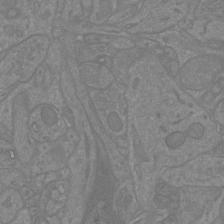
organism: Mouse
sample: Cortical neurons